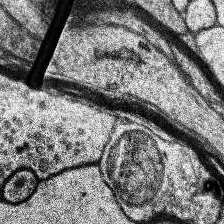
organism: Human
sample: Temporal Lobe